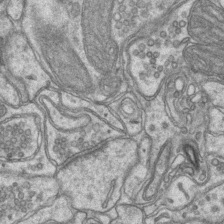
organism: Mouse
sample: CA1 Hippocampus